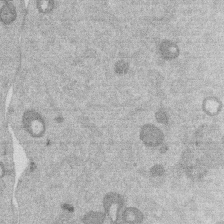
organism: Mouse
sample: Dividing mouse embryo 1 cell stage